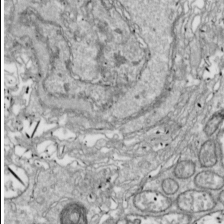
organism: Drosophila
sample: Cell division; meiosis; drosophila spermatocytes